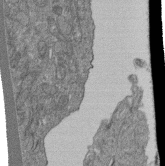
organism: Human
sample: Retinal organoid Rod and Cone cells